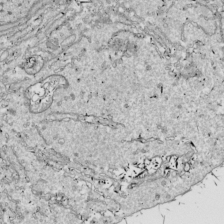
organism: Drosophila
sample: Cell division; meiosis; drosophila spermatocytes